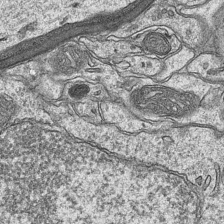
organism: Mouse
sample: CA1 Hippocampus